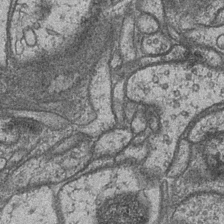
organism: Drosophila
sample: Optic medulla